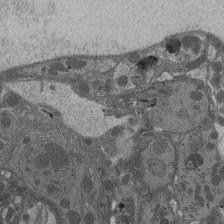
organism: Drosophila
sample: Antenna